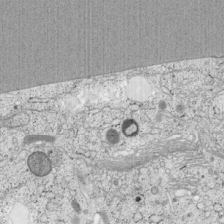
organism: African green monkey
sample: COS-7 cells